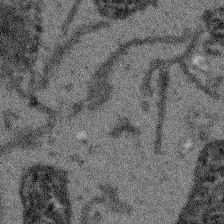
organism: Arabidopsis thaliana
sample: Root tip